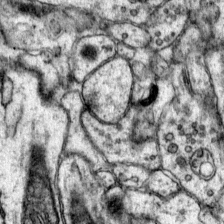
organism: Mouse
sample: Primary visual cortex